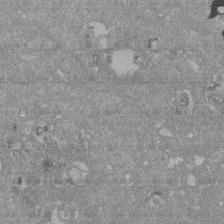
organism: Mouse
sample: ED-1 cell nuclei; centrioles